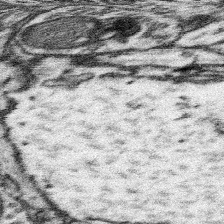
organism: Mouse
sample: Somatosensory cortex neuropil